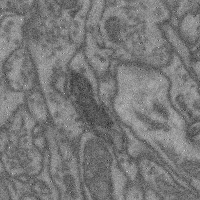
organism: Mouse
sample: Cerebral cortex